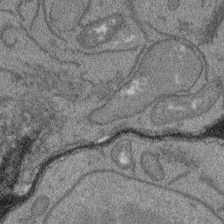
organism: Arabidopsis thaliana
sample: Root tip